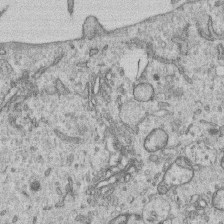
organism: Human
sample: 1205lu cells